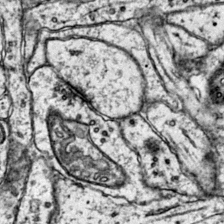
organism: Mouse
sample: Primary visual cortex